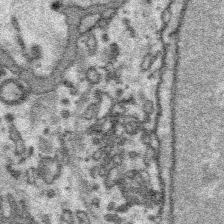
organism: Platynereis dumerilii